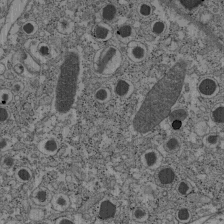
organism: C57BL Mouse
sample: Pancreatic islet